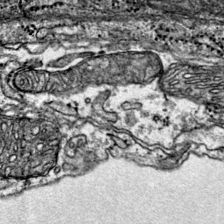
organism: Mouse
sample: Primary visual cortex